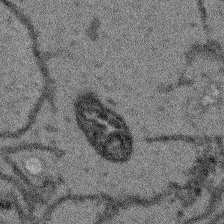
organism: Arabidopsis thaliana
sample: Root tip